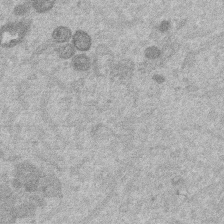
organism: Mouse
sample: Dividing mouse embryo 1 cell stage